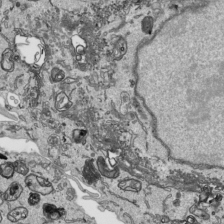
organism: Human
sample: Mitochondria in HCT116 cells